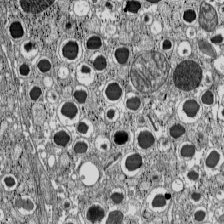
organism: C57BL Mouse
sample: Pancreatic islet